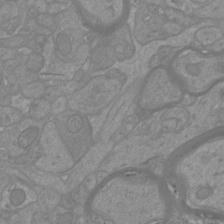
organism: Mouse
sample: Cortical neurons